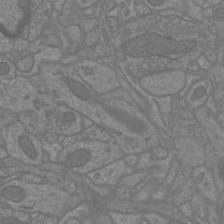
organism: Mouse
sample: Cortical neurons